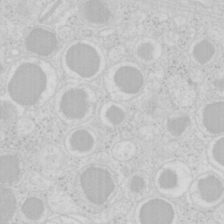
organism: Mouse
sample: Pancreas